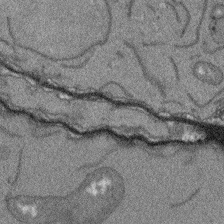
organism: Arabidopsis thaliana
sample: Root tip